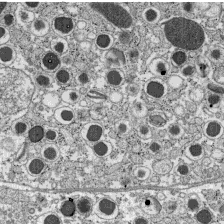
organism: C57BL Mouse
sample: Pancreatic islet